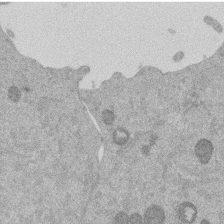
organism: Mouse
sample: Dividing mouse embryo 1 cell stage